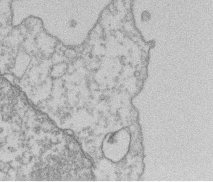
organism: Mouse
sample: T cell stromal cell synapse